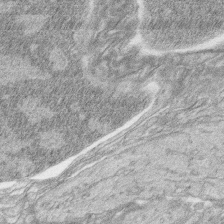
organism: Zebrafish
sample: synaptic ribbons in rod cells and cone cells